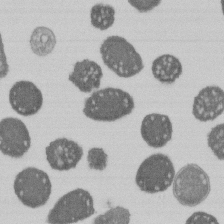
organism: E. coli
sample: Bacterial nucleoid